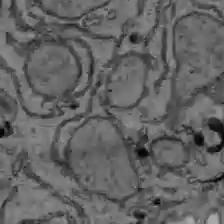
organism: C57BL Mouse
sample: Liver